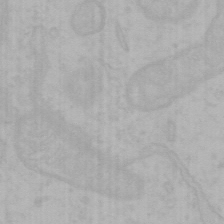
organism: Mouse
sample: Choroid plexus